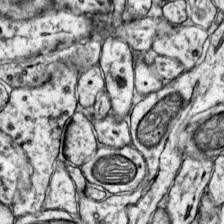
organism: Mouse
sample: Primary visual cortex